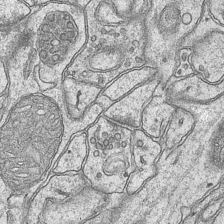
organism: Mouse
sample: CA1 Hippocampus